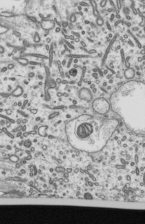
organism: Mouse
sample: Mouse epididymis efferent ductule cilia